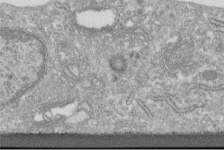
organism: Human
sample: Centriole in fibroblast cells